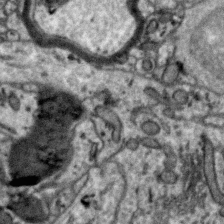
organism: Zebra finch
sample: Brain